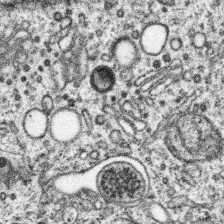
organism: Human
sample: HeLa cells